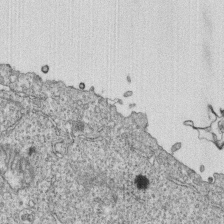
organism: Human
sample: HeLa cell HIV synapse